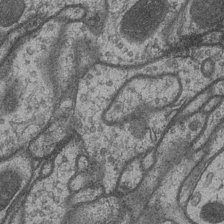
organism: Drosophila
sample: Optic medulla